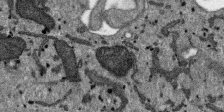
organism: Human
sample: Lung epithelial cells, uninfected (mock) control